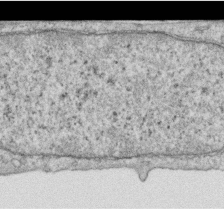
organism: Human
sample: Centriole in RPE cells